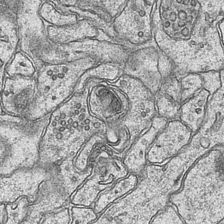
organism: Mouse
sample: CA1 Hippocampus